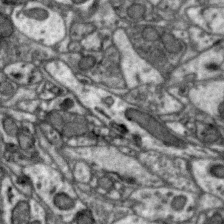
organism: Zebra finch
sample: Brain